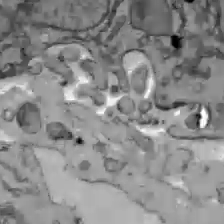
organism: C57BL Mouse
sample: Liver